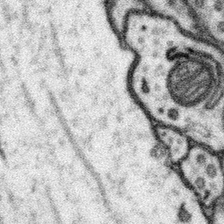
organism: Mouse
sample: Somatosensory cortex neuropil